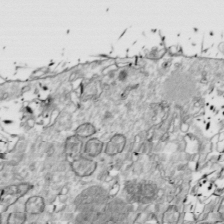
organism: Drosophila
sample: Cell division; meiosis; drosophila spermatocytes